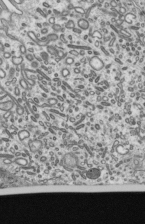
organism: Mouse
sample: Mouse epididymis efferent ductule cilia